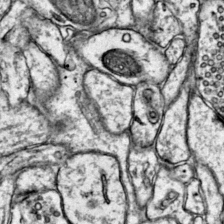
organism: Mouse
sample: Primary visual cortex